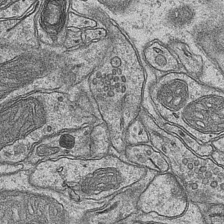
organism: Mouse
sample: CA1 Hippocampus